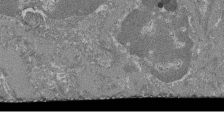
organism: Mouse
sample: Glomerulus